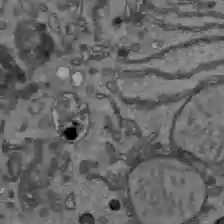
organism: C57BL Mouse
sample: Liver